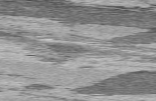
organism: C57BL Mouse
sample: Heart